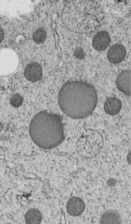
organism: C. elegans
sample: C. elegans embryo early stage